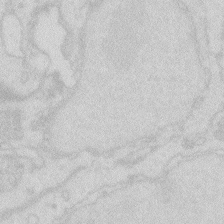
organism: Zebrafish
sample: Macrophage